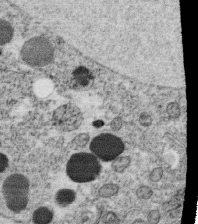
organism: C. elegans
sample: C. elegans oocyte; sperm cells